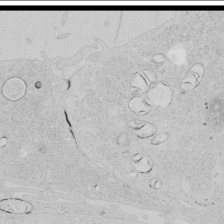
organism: Human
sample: Mitochondria in HCT116 cells